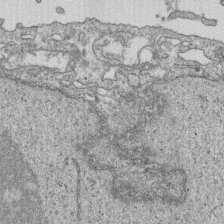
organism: Human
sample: HeLa cell HIV synapse